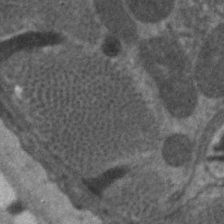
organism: C. elegans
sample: Pharynx